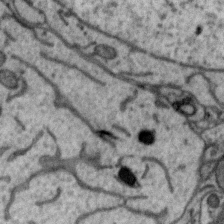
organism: Zebra finch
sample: Brain